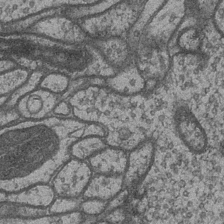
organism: Drosophila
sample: Optic medulla